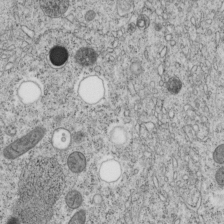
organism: C. elegans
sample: C. elegans embryo early stage